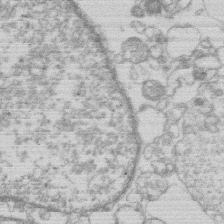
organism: Human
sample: Macrophage cells